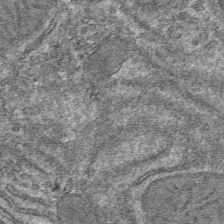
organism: Mouse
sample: Mouse hepatocytes